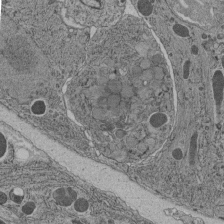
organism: C. elegans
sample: C. elegans pharynx